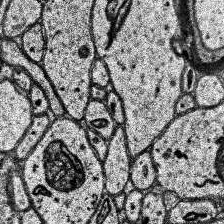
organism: Human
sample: Temporal Lobe